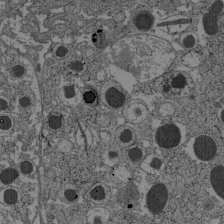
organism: C57BL Mouse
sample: Pancreatic islet